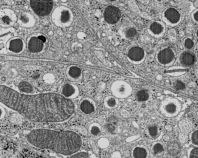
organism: C57BL Mouse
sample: Pancreatic islet